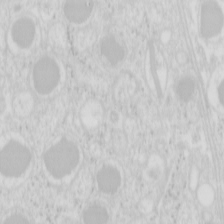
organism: Mouse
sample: Pancreas